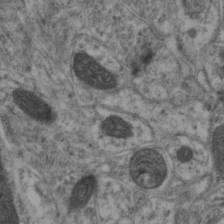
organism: Mouse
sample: Neocortex